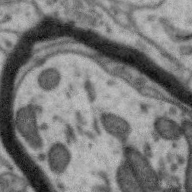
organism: Zebra finch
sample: Brain